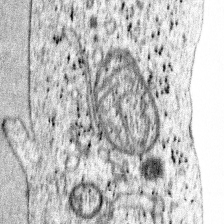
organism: Human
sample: HeLa cells